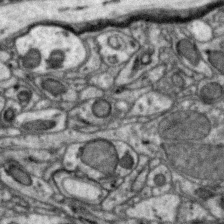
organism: Zebra finch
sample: Brain